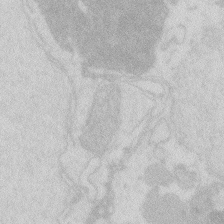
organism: Zebrafish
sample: Macrophage